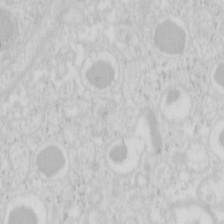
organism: Mouse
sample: Pancreas